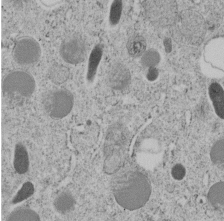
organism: C. elegans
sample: C. elegans embryo early stage